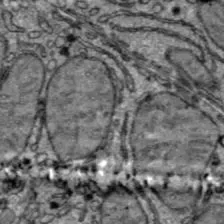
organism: C57BL Mouse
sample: Liver